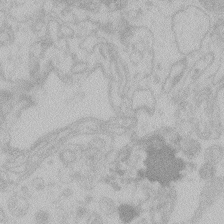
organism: Zebrafish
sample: Macrophage infected with Toxoplasma gondii